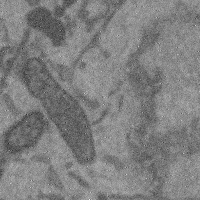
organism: Mouse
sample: Cerebral cortex